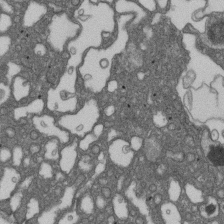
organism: Drosophila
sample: Nephrocyte